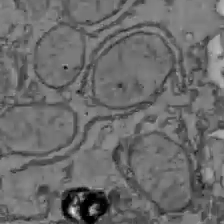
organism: C57BL Mouse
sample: Liver